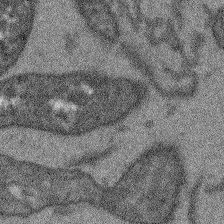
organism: Arabidopsis thaliana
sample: Root tip